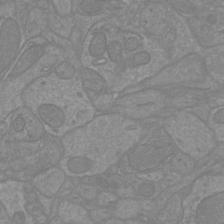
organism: Mouse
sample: Cortical neurons